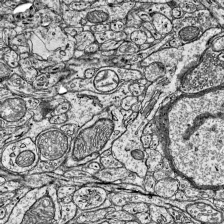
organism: Mouse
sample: Visual Cortex